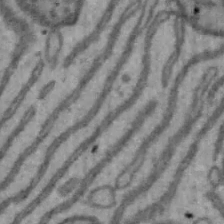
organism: Mouse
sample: Liver